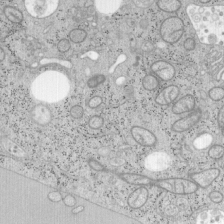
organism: Mouse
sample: OT-I killer T cells with ID8 ovarian cancer cells